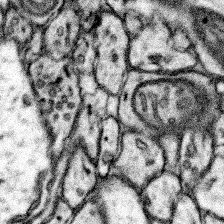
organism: Mouse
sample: Somatosensory cortex neuropil